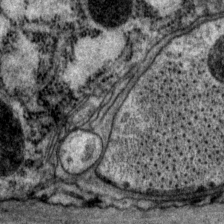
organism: P. pacificus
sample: Pharynx